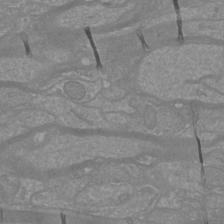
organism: Mouse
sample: Cortical neurons